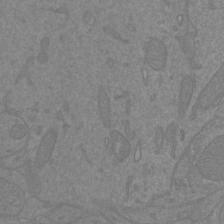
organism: Mouse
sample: Cortical neurons